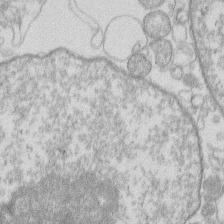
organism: Human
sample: Macrophage cells